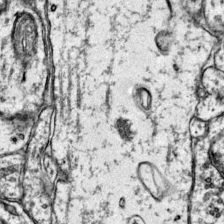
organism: Mouse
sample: Primary visual cortex